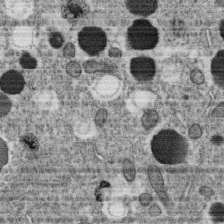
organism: C. elegans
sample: C. elegans oocyte; sperm cells